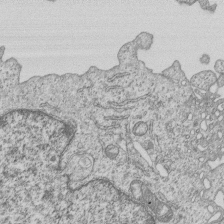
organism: Human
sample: MDA-MB-231 cells